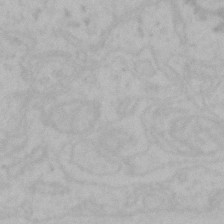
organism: Mouse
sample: Choroid plexus